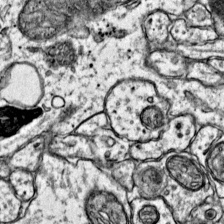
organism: Mouse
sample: Primary visual cortex